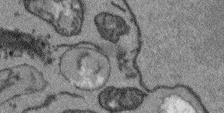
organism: Arabidopsis thaliana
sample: Root tip